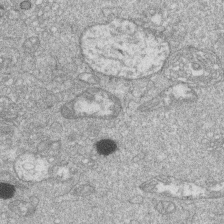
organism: Human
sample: HeLa cell HIV synapse